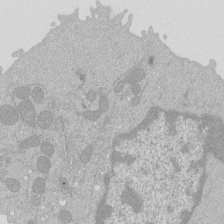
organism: Mouse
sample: Activated Pmel transgenic CD8+ T Cells